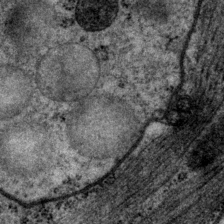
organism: P. pacificus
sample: Pharynx